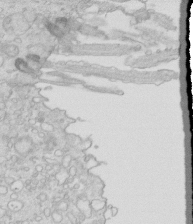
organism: Mouse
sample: Multiciliated cells